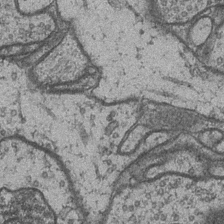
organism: Drosophila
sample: Optic medulla